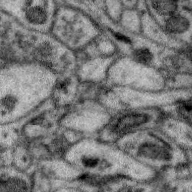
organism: Zebra finch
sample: Brain